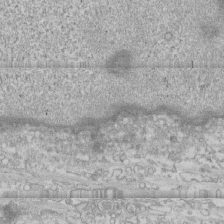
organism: Human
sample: CRL-1474